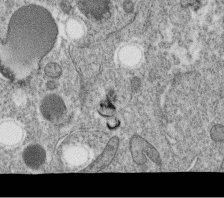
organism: C. elegans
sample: C. elegans oocyte; sperm cells